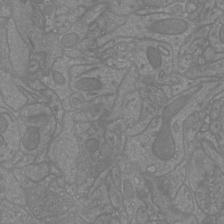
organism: Mouse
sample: Cortical neurons